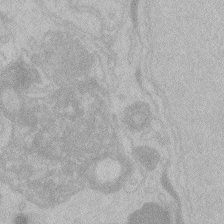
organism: Zebrafish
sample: Macrophage infected with Toxoplasma gondii